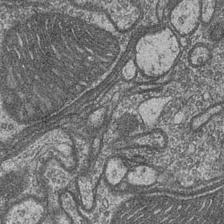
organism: Drosophila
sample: Optic medulla